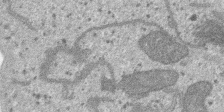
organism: Human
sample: Lung epithelial cells infected with SARS-CoV-2